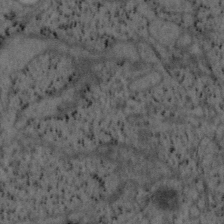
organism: Human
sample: HeLa cells